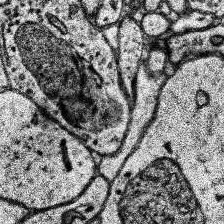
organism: Human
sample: Temporal Lobe